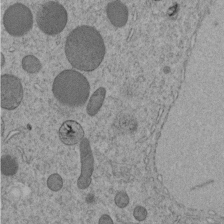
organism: C. elegans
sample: C. elegans embryo early stage